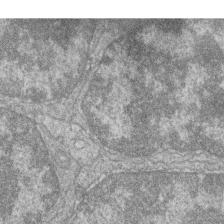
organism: Zebrafish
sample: Cilia; retinal pigment epithelium